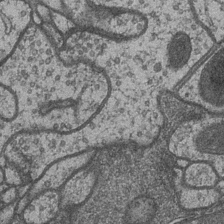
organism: Drosophila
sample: Optic medulla